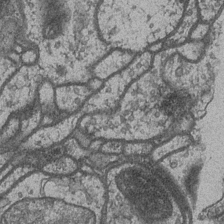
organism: Drosophila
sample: Optic medulla